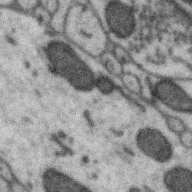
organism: Zebra finch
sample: Brain